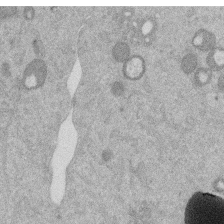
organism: Mouse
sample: Dividing mouse embryo 1 cell stage